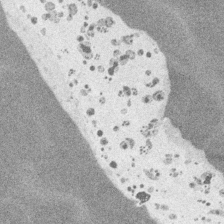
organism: Embia sp.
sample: Silk gland